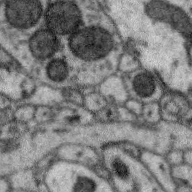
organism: Zebra finch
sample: Brain